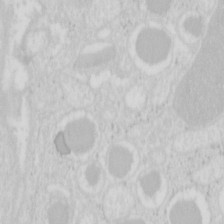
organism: Mouse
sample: Pancreas